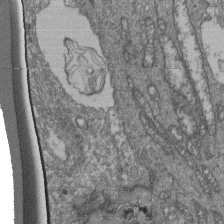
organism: Human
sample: Retinal organoid Rod and Cone cells